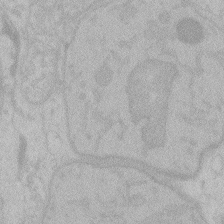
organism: Zebrafish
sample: Macrophage infected with Toxoplasma gondii